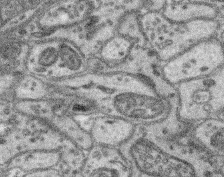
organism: Mouse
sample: Retina